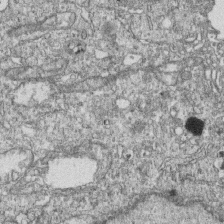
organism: Human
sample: HeLa cell HIV synapse